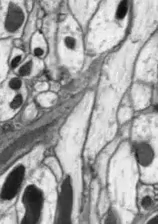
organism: Drosophila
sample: Optic lobe